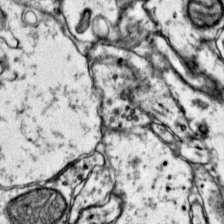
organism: Mouse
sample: Primary visual cortex